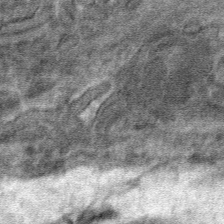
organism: Mouse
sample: Mouse hepatocytes